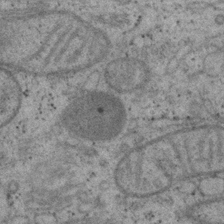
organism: Human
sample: HeLa cells